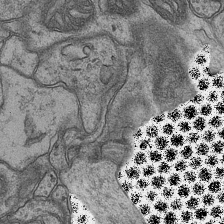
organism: Mouse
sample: CA1 Hippocampus